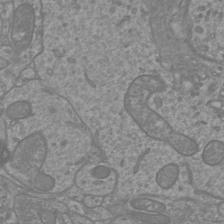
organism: Mouse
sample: Cortical neurons